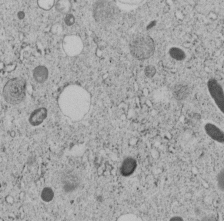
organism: C. elegans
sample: C. elegans embryo early stage